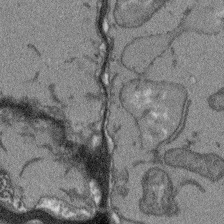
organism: Arabidopsis thaliana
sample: Root tip